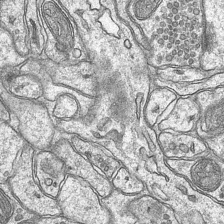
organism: Mouse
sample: CA1 Hippocampus